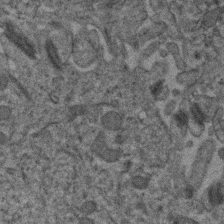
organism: Human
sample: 1205lu cells